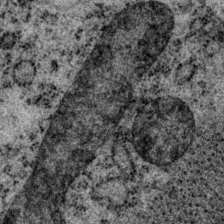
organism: P. pacificus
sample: Pharynx